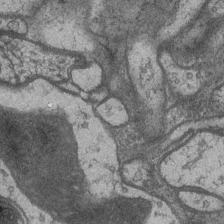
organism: Drosophila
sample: Optic medulla